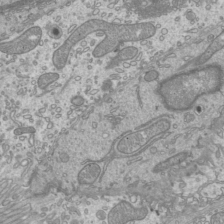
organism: Mouse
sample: Cilia; mouse epididymis